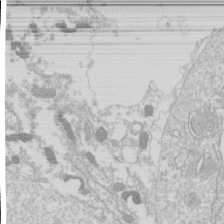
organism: Drosophila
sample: Cell division; meiosis; drosophila spermatocytes